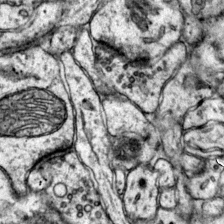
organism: Mouse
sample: Primary visual cortex